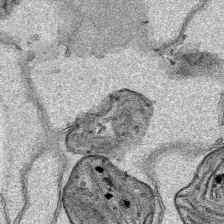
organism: Human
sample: Mitochondria in HCT116 cells